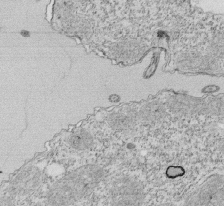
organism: Tetrahymena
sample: Cilia in tetrahymena